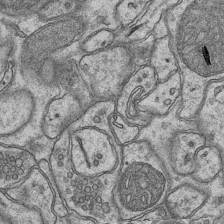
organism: Mouse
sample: CA1 Hippocampus